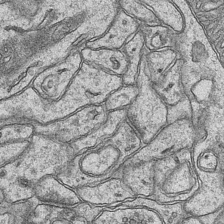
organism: Mouse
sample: CA1 Hippocampus